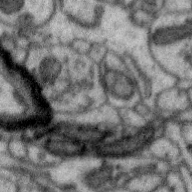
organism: Zebra finch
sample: Brain